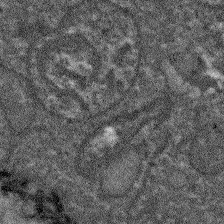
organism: Arabidopsis thaliana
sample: Root tip